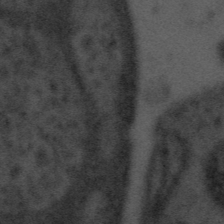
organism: Tuwongella immobilis